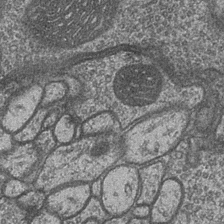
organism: Drosophila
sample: Optic medulla